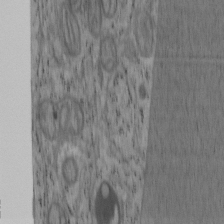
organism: Human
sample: HeLa cells